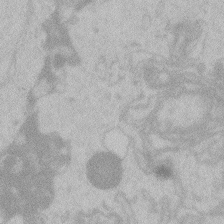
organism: Zebrafish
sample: Macrophage infected with Toxoplasma gondii